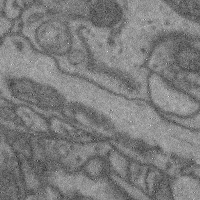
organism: Mouse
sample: Cerebral cortex